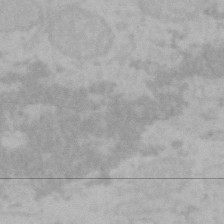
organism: Mouse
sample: Choroid plexus